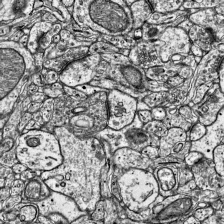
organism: Mouse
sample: Visual Cortex